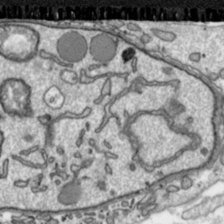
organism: Toxoplasma gondii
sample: Parasites in a vacuole inside a host cell